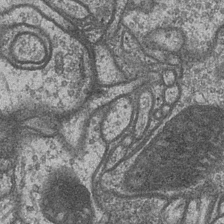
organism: Drosophila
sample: Optic medulla